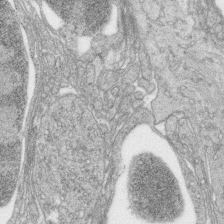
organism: Zebrafish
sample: synaptic ribbons in rod cells and cone cells